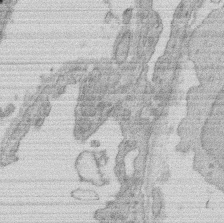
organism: Rat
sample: Salivary granule